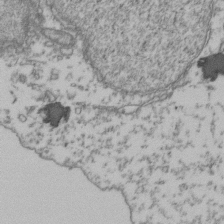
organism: Human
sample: Activated Jurkat CD4+ T cells